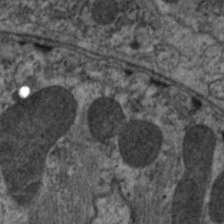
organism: C. elegans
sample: Pharynx